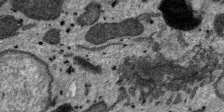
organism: Human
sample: Lung epithelial cells, uninfected (mock) control